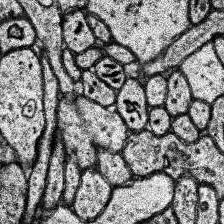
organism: Human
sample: Temporal Lobe